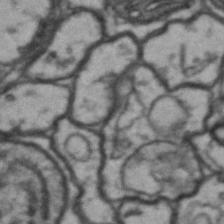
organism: Drosophila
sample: Brain